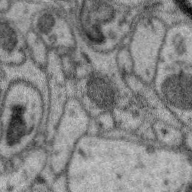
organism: Zebra finch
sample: Brain